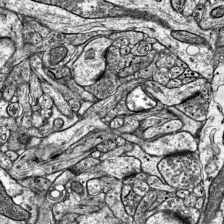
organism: Mouse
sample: Visual Cortex